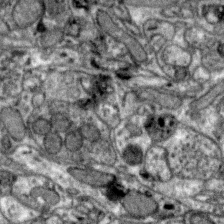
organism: Zebra finch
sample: Brain